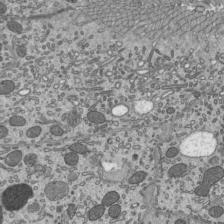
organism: Mouse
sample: Mouse epididymis efferent ductule cilia